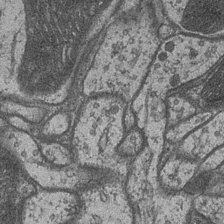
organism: Drosophila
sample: Optic medulla